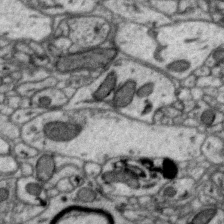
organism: Zebra finch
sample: Brain